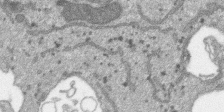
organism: Human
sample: Lung epithelial cells infected with SARS-CoV-2